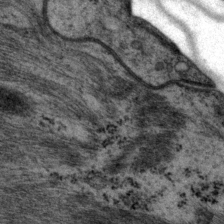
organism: P. pacificus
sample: Pharynx